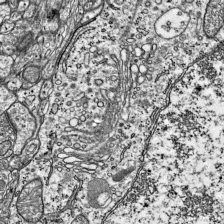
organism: Mouse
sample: Visual Cortex